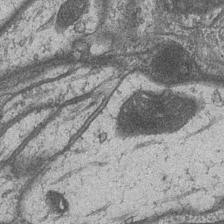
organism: Drosophila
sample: Optic medulla